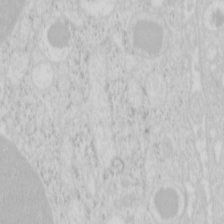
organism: Mouse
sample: Pancreas